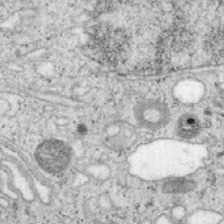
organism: Mouse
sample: OT-I killer T cells with ID8 ovarian cancer cells